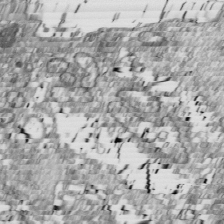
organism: Drosophila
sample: Cell division; meiosis; drosophila spermatocytes